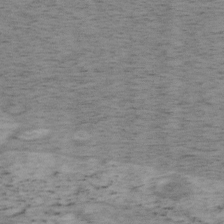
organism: Mouse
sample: OT-I killer T cells with ID8 ovarian cancer cells